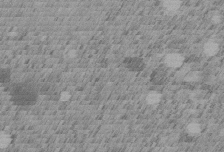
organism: C. elegans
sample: C. elegans embryo early stage